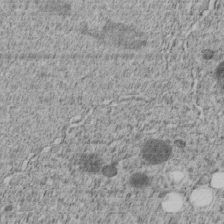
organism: C. elegans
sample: C. elegans embryo early stage